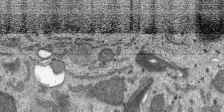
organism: Human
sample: Lung epithelial cells infected with SARS-CoV-2